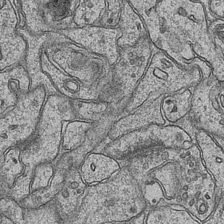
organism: Mouse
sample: CA1 Hippocampus